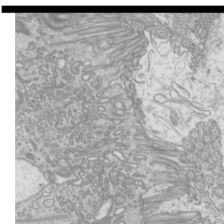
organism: Mouse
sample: Cilia; mouse epididymis